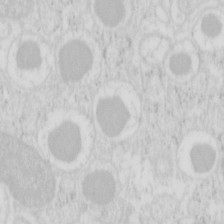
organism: Mouse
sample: Pancreas